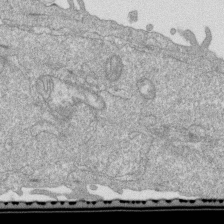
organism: Human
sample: HeLa cell HIV synapse